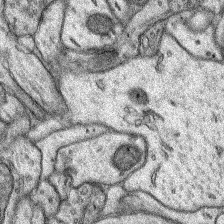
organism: Rat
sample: Hippocampus